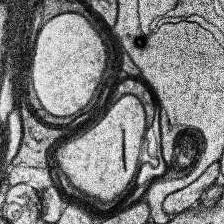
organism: Human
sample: Temporal Lobe